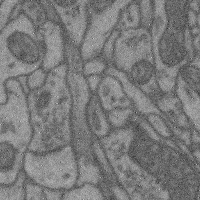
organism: Mouse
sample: Cerebral cortex